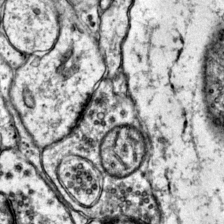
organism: Mouse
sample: Primary visual cortex